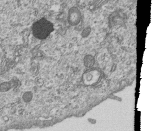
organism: Human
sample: MDA-MB-231 cells